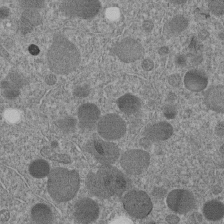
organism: C. elegans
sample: C. elegans embryo early stage